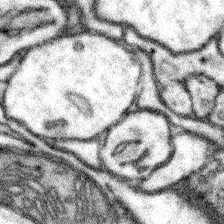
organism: Mouse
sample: Somatosensory cortex neuropil